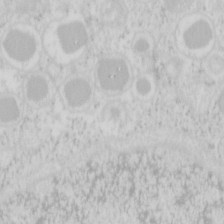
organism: Mouse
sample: Pancreas